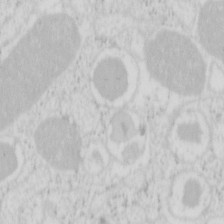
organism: Mouse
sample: Pancreas